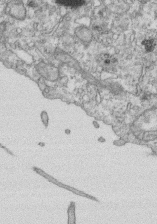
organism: Human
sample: HeLa cell HIV synapse